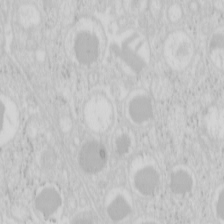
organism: Mouse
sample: Pancreas